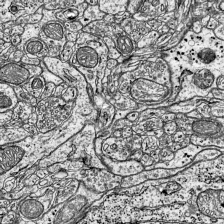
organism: Mouse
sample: Visual Cortex